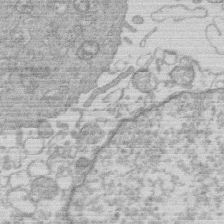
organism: Human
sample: Macrophage cells